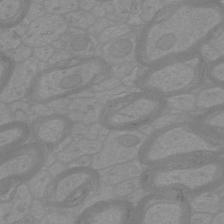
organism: Mouse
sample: Cortical neurons